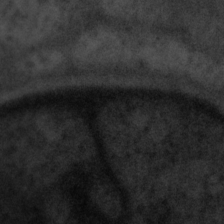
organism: Tuwongella immobilis